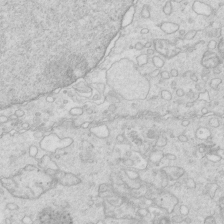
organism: Mouse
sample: Multiciliated cells